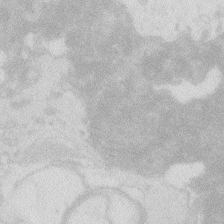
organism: Zebrafish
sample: Macrophage